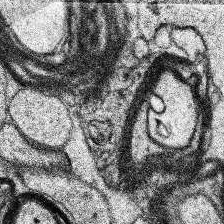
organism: Human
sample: Temporal Lobe